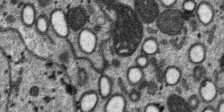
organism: Human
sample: Lung epithelial cells infected with SARS-CoV-2